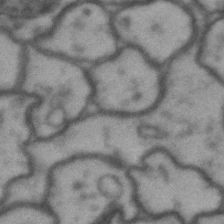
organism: Drosophila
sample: Brain